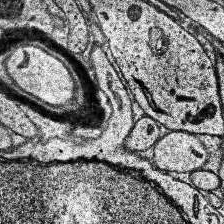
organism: Human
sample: Temporal Lobe